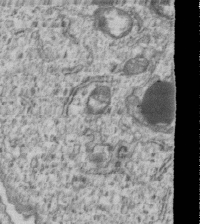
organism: Human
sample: MDA-MB-231 cells